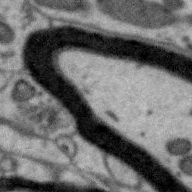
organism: Zebra finch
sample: Brain